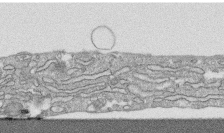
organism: Human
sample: CRL-1474